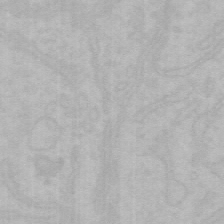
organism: Mouse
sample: Choroid plexus